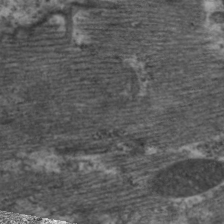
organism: C. elegans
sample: Pharynx